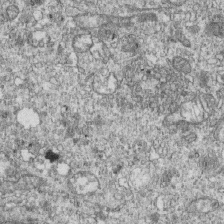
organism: Human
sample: HeLa cell HIV synapse